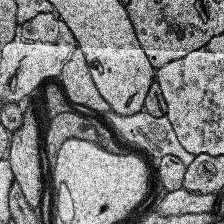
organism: Human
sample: Temporal Lobe